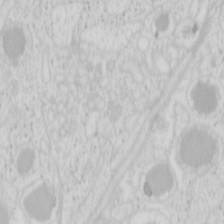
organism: Mouse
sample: Pancreas